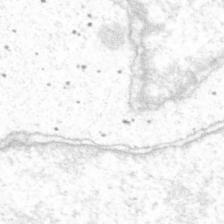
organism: Human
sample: HeLa cells